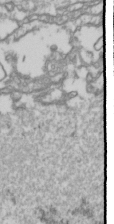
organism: Drosophila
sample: Cell division; meiosis; drosophila spermatocytes